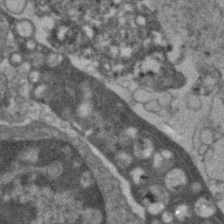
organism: Human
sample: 1205lu cells